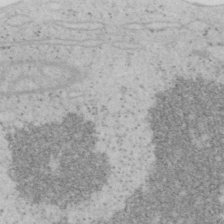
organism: Human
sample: HeLa cells